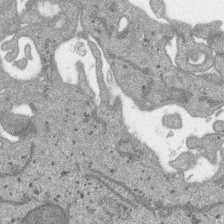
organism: Human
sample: Lung epithelial cells infected with SARS-CoV-2